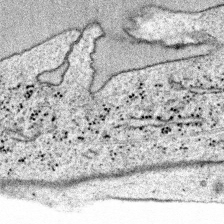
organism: Human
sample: HeLa cells